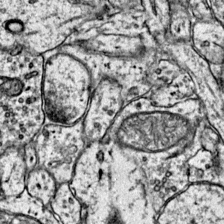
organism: Mouse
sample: Primary visual cortex